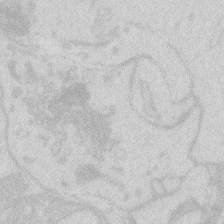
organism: Zebrafish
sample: Macrophage